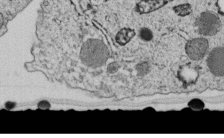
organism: C. elegans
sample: C. elegans embryo early stage